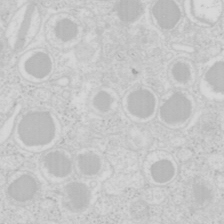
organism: Mouse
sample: Pancreas